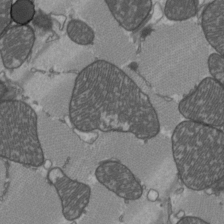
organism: C57BL Mouse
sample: Heart